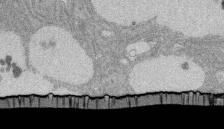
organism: Rat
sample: Salivary granule